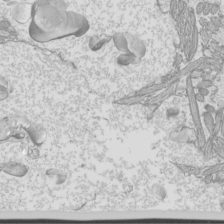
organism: Mouse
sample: Cilia; mouse epididymis